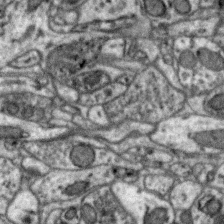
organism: Zebra finch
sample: Brain